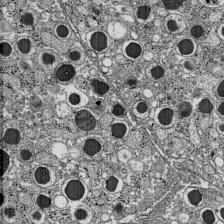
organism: C57BL Mouse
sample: Pancreatic islet